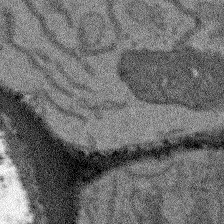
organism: Arabidopsis thaliana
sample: Root tip